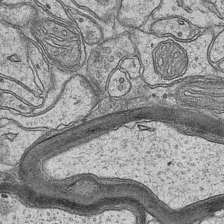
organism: Mouse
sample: CA1 Hippocampus